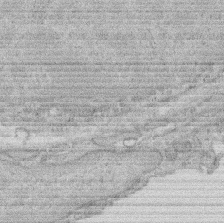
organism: Rat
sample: Salivary granule